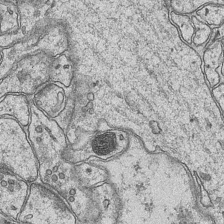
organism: Mouse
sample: CA1 Hippocampus